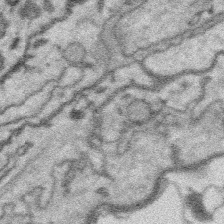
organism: Platynereis dumerilii